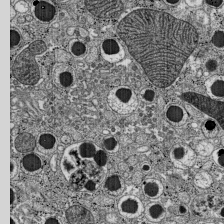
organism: C57BL Mouse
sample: Pancreatic islet